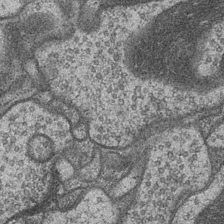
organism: Drosophila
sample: Optic medulla